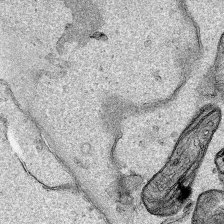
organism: Human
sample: Mitochondria in HCT116 cells